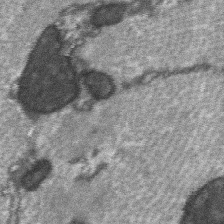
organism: C57BL Mouse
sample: Soleus